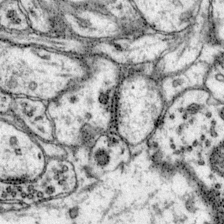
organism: Mouse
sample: Primary visual cortex